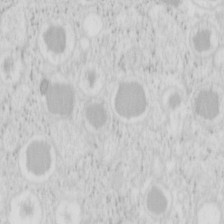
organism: Mouse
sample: Pancreas